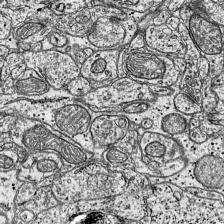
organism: Mouse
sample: Visual Cortex